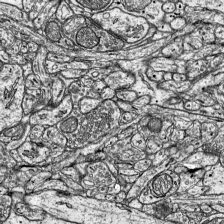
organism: Mouse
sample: Visual Cortex